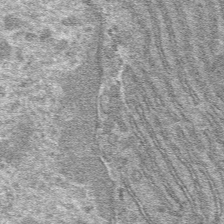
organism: Mouse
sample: Mouse hepatocytes